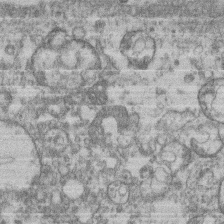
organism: Mouse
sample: T cell stromal cell synapse